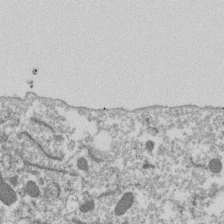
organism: Dictyostelium discoideum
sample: Dictyostelium multivesicular bodies